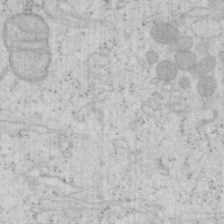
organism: Human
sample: HeLa cells